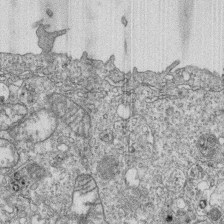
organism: Human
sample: HeLa cell HIV synapse